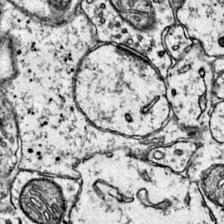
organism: Mouse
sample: Primary visual cortex